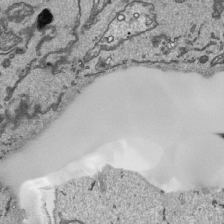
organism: Human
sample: Mitochondria in HCT116 cells